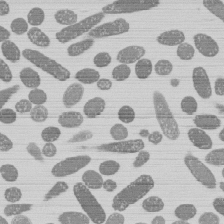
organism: E. coli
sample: Bacterial nucleoid